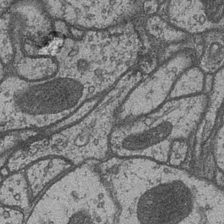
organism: Drosophila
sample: Optic medulla